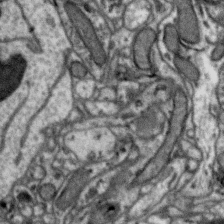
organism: Zebra finch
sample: Brain